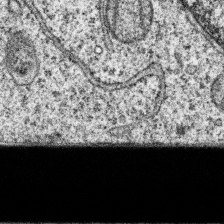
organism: Human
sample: HeLa cells